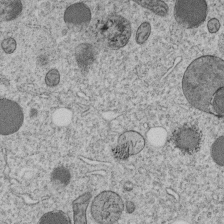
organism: C. elegans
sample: C. elegans embryo early stage